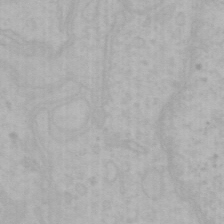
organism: Mouse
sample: Choroid plexus